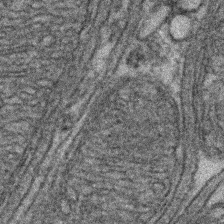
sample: Kidney